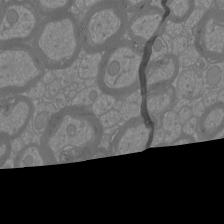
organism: Mouse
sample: Cortical neurons